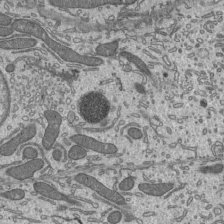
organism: Mouse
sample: Mouse epididymis efferent ductule cilia